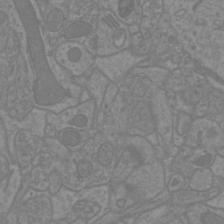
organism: Mouse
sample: Cortical neurons